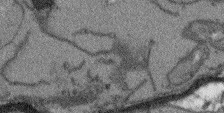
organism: Arabidopsis thaliana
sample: Root tip